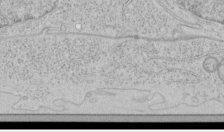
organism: Human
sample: Mitochondria in HCT116 cells